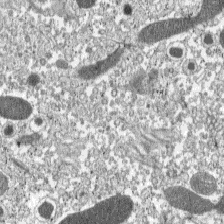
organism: C57BL Mouse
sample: Pancreatic islet